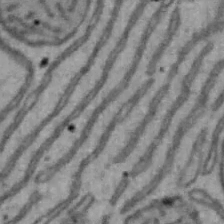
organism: Mouse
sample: Liver